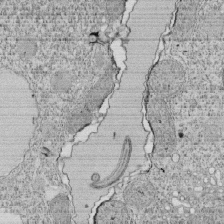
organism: Tetrahymena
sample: Cilia in tetrahymena